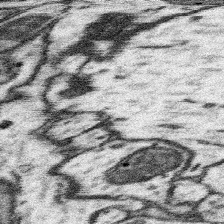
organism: Mouse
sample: Somatosensory cortex neuropil